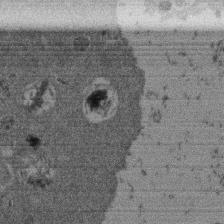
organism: Mouse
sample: Dividing mouse embryo 1 cell stage